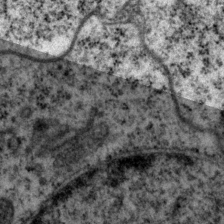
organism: P. pacificus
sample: Pharynx